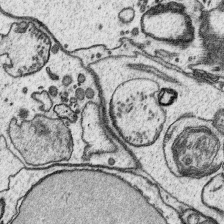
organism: Platynereis dumerilii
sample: Parapodia